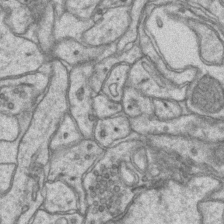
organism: Mouse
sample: CA1 Hippocampus